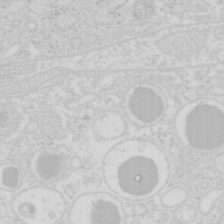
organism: Mouse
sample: Pancreas